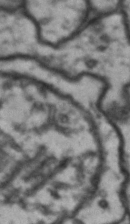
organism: Drosophila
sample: Brain